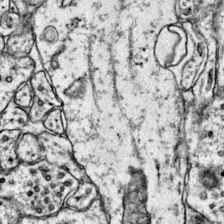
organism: Mouse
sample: Primary visual cortex